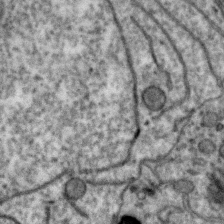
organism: Zebra finch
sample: Brain